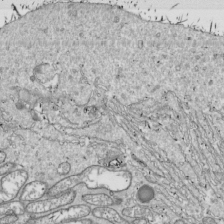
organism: Drosophila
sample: Cell division; meiosis; drosophila spermatocytes